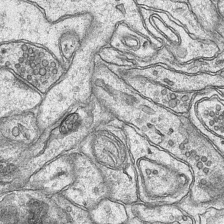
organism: Mouse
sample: CA1 Hippocampus